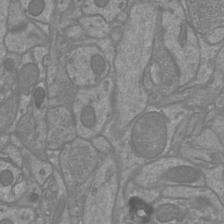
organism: Mouse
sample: Cortical neurons